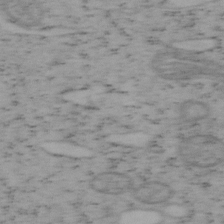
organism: Mouse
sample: OT-I killer T cells with ID8 ovarian cancer cells